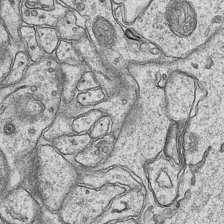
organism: Mouse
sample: CA1 Hippocampus